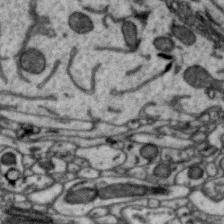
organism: Zebra finch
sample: Brain